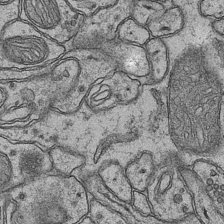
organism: Mouse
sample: CA1 Hippocampus